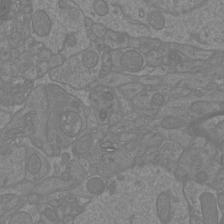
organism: Mouse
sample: Cortical neurons